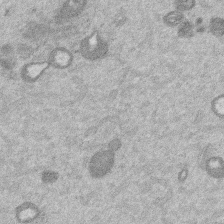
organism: Mouse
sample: Dividing mouse embryo 1 cell stage